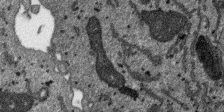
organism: Human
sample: Lung epithelial cells infected with SARS-CoV-2